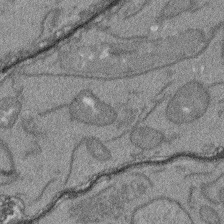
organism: Arabidopsis thaliana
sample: Root tip